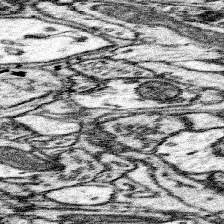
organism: Mouse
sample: Somatosensory cortex neuropil